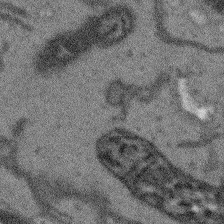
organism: Arabidopsis thaliana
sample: Root tip